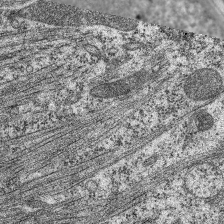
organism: C. elegans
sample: Pharynx